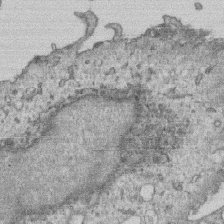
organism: Human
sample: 1205lu cells